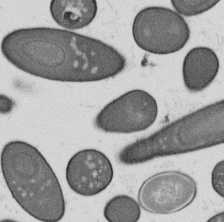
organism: B. subtilis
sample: Bacterial spore